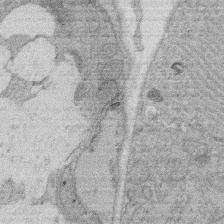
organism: Rat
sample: Salivary granule